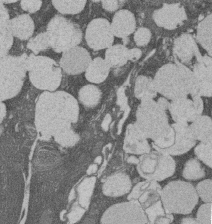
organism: Rat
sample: Salivary granule